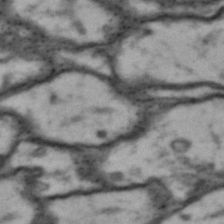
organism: Drosophila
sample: Brain